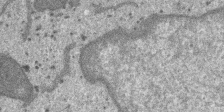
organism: Human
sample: Lung epithelial cells infected with SARS-CoV-2